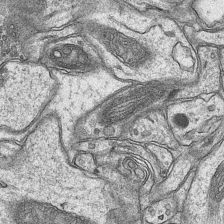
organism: Mouse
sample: CA1 Hippocampus